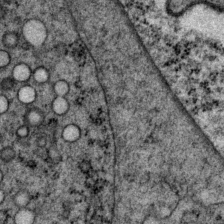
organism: P. pacificus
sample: Pharynx